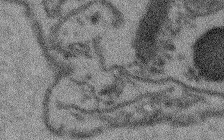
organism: Arabidopsis thaliana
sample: Root tip